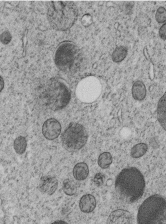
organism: C. elegans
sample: C. elegans embryo early stage